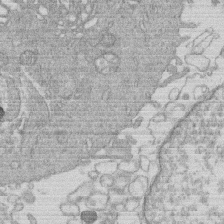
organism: Human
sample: Macrophage cells